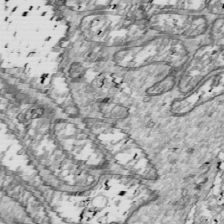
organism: Drosophila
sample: Cell division; meiosis; drosophila spermatocytes